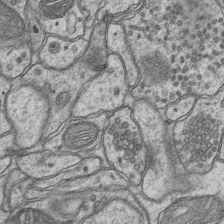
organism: Mouse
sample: CA1 Hippocampus